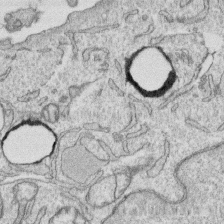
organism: Human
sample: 1205lu cells